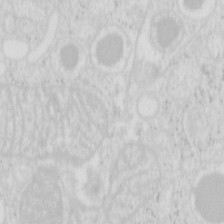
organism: Mouse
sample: Pancreas